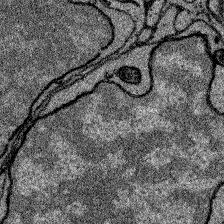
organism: Zebrafish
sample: Larval olfactory bulb